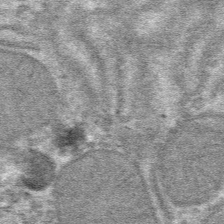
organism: Mouse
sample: Mouse hepatocytes